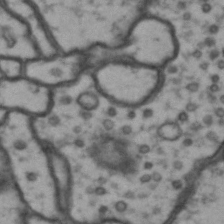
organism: Drosophila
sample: Brain